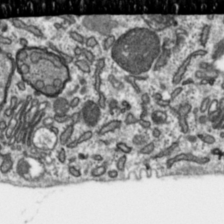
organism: Toxoplasma gondii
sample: Parasites in a vacuole inside a host cell